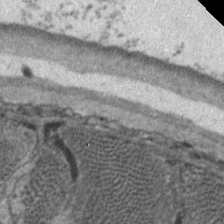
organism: C. elegans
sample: Pharynx